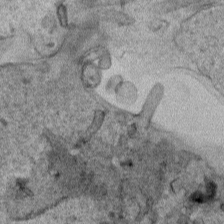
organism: Human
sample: Mitochondria in HCT116 cells